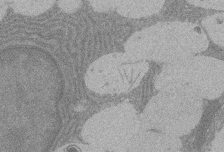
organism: Rat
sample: Salivary granule